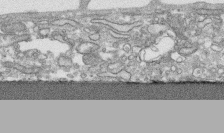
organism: Human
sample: CRL-1474